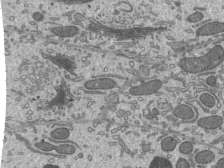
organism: Mouse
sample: Mouse epididymis efferent ductule cilia